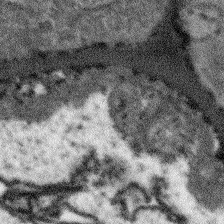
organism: Arabidopsis thaliana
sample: Root tip